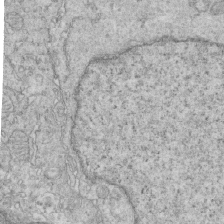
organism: Mouse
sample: Multiciliated cells